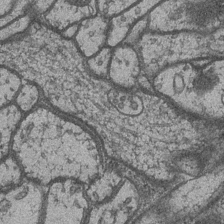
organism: Drosophila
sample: Optic medulla